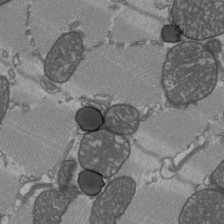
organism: C57BL Mouse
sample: Heart